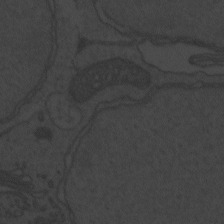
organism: Zebrafish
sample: Macrophage infected with Toxoplasma gondii